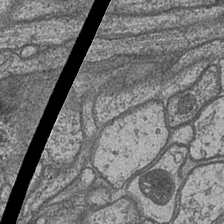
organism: Drosophila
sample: Optic medulla